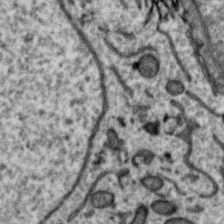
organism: Zebra finch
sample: Brain